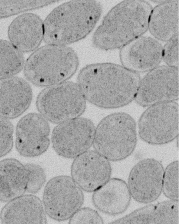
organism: E. coli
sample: Bacterial nucleoid